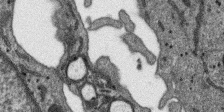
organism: Human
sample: Lung epithelial cells infected with SARS-CoV-2